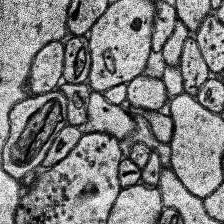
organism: Human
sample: Temporal Lobe